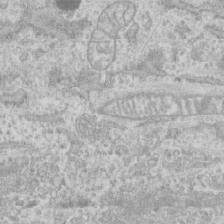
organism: Human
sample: CRL-1474